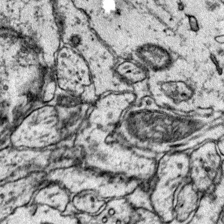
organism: Mouse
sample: Primary visual cortex